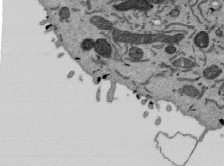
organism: Mouse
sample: ED-1 cell nuclei; centrioles